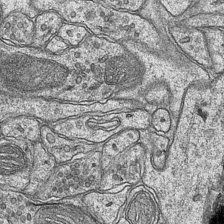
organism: Mouse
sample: CA1 Hippocampus